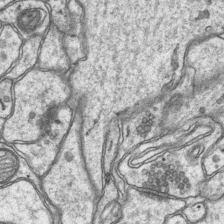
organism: Mouse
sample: CA1 Hippocampus